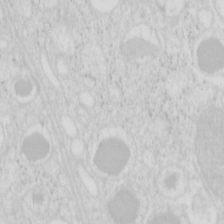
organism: Mouse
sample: Pancreas